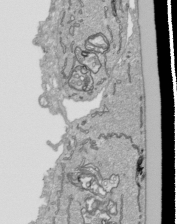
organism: Human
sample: Mitochondria in HCT116 cells